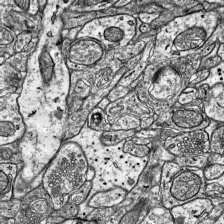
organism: Mouse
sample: Visual Cortex